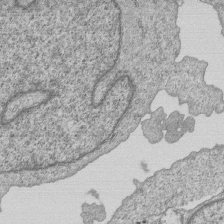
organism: Human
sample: MDA-MB-231 cells